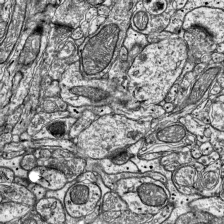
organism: Mouse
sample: Visual Cortex